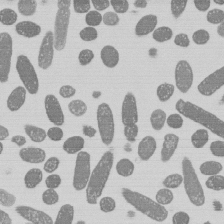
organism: E. coli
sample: Bacterial nucleoid